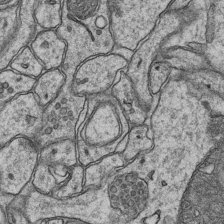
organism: Mouse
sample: CA1 Hippocampus